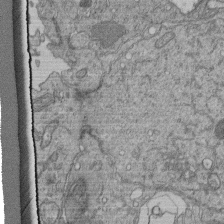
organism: Human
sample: Retinal organoid Rod and Cone cells